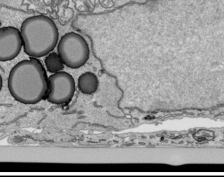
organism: Human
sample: Mitochondria in HCT116 cells